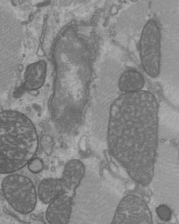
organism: C57BL Mouse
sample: Heart